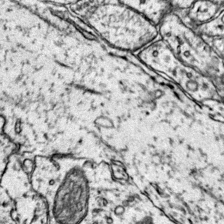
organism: Mouse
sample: Primary visual cortex